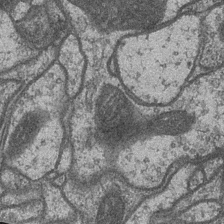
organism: Drosophila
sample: Optic medulla